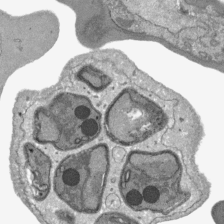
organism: Plasmodium falciparum